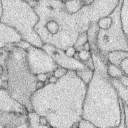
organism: Rabbit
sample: Retina